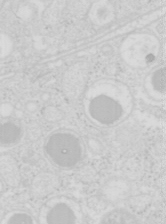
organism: Mouse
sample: Pancreas